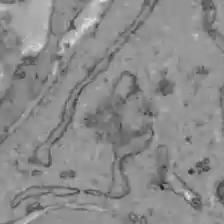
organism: C57BL Mouse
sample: Liver